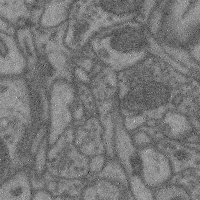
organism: Mouse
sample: Cerebral cortex